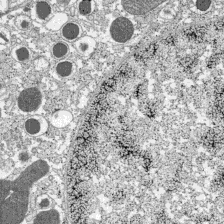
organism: C57BL Mouse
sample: Pancreatic islet